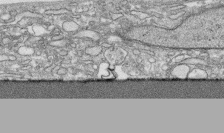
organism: Human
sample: CRL-1474